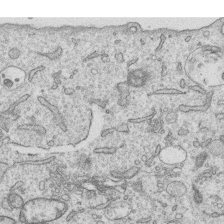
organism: Human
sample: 1205lu cells